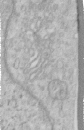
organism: Human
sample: Centriole in RPE cells